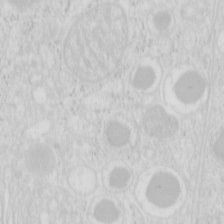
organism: Mouse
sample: Pancreas